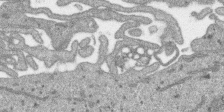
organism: Human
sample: Lung epithelial cells infected with SARS-CoV-2